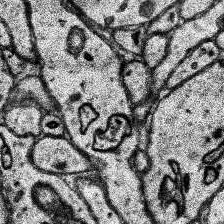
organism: Human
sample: Temporal Lobe